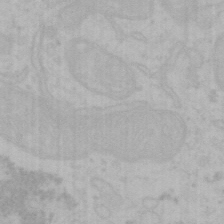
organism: Mouse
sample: Choroid plexus